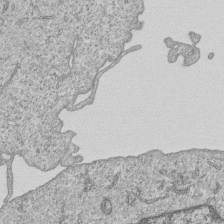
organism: Human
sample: MDA-MB-231 cells